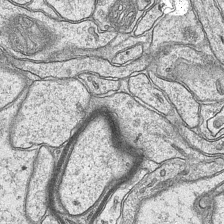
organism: Mouse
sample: CA1 Hippocampus